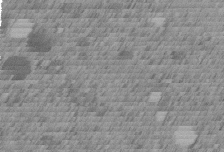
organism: C. elegans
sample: C. elegans embryo early stage